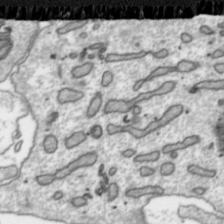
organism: Toxoplasma gondii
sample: Parasites in a vacuole inside a host cell